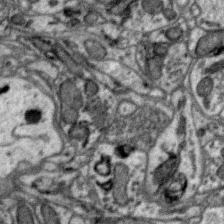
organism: Zebra finch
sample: Brain